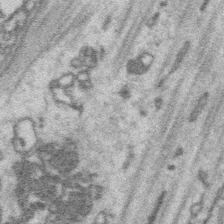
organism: Platynereis dumerilii